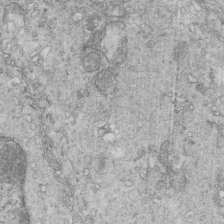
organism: Mouse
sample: Multiciliated cells